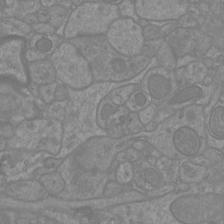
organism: Mouse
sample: Cortical neurons